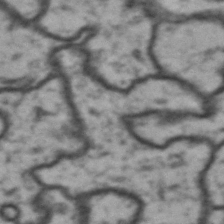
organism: Drosophila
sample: Brain